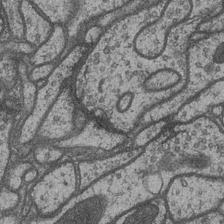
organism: Drosophila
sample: Optic medulla